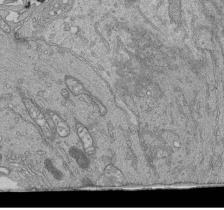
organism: Human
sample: Retinal organoid Rod and Cone cells